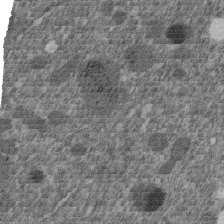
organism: C. elegans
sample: C. elegans embryo early stage